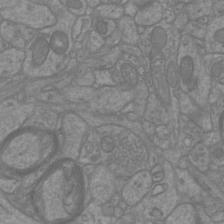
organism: Mouse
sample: Cortical neurons